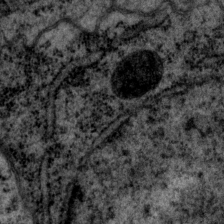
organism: P. pacificus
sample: Pharynx